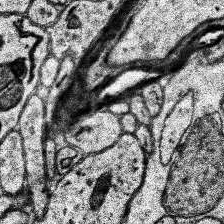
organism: Human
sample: Temporal Lobe